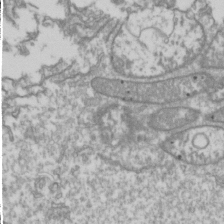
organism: Drosophila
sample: Cell division; meiosis; drosophila spermatocytes